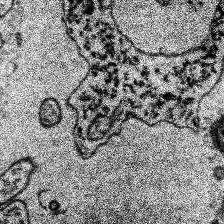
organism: Human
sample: Temporal Lobe